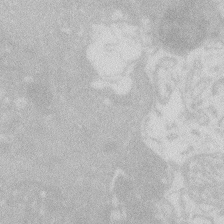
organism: Zebrafish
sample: Macrophage